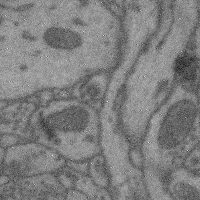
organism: Mouse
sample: Cerebral cortex